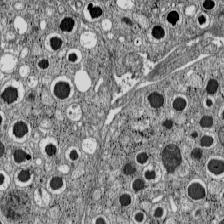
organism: C57BL Mouse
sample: Pancreatic islet